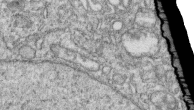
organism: Human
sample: HeLa cell HIV synapse